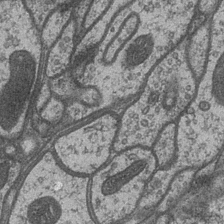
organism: Drosophila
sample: Optic medulla